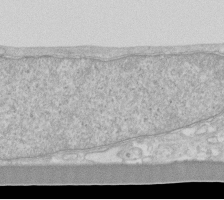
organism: Human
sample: Fibroblast cells